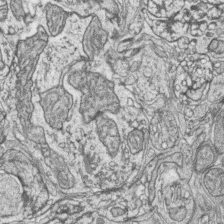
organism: Zebrafish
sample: synaptic ribbons in rod cells and cone cells